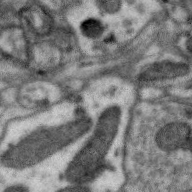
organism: Zebra finch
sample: Brain